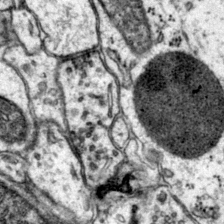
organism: Mouse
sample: Primary visual cortex